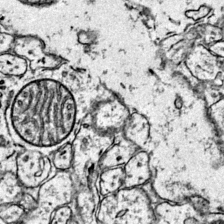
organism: Mouse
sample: Primary visual cortex